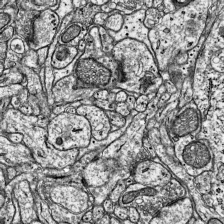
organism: Mouse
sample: Visual Cortex